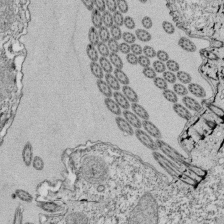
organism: Tetrahymena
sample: Cilia in tetrahymena